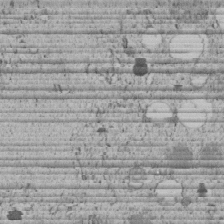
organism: C. elegans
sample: C. elegans embryo early stage